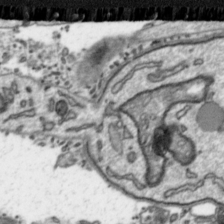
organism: Toxoplasma gondii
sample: Parasites in a vacuole inside a host cell